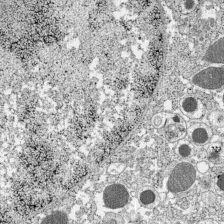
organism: C57BL Mouse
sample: Pancreatic islet